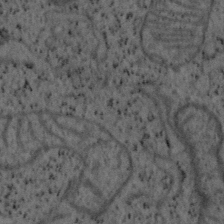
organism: Human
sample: HeLa cells